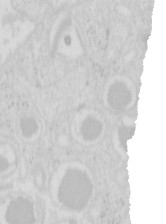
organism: Mouse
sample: Pancreas